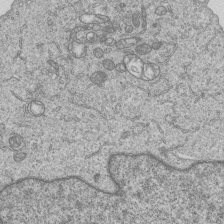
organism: Human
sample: MDA-MB-231 cells